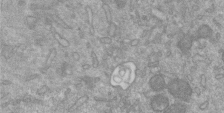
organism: Mouse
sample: ED-1 cell nuclei; centrioles